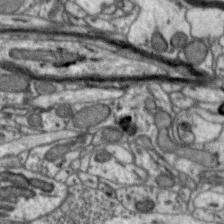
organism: Zebra finch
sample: Brain